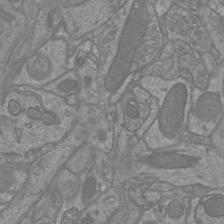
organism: Mouse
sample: Cortical neurons